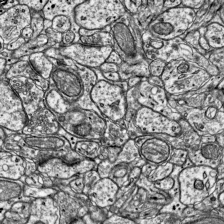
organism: Mouse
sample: Visual Cortex